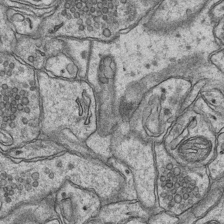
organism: Mouse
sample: CA1 Hippocampus